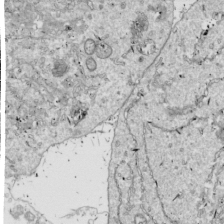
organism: Drosophila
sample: Cell division; meiosis; drosophila spermatocytes